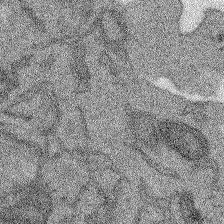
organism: Human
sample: HeLa cells